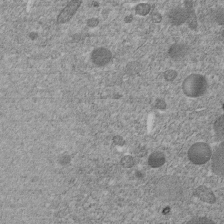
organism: C. elegans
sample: C. elegans embryo early stage